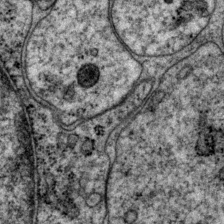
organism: P. pacificus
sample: Pharynx